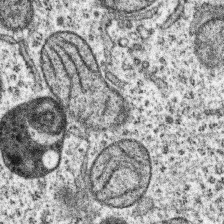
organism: Human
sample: HeLa cells